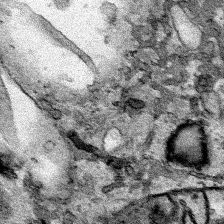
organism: Human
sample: Mitochondria in HCT116 cells